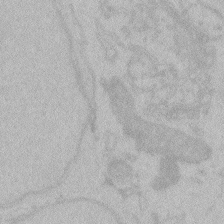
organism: Zebrafish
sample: Macrophage infected with Toxoplasma gondii